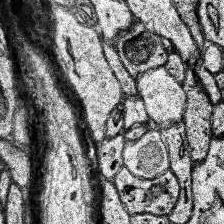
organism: Human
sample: Temporal Lobe